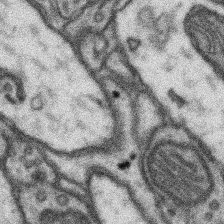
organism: Mouse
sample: Somatosensory cortex neuropil